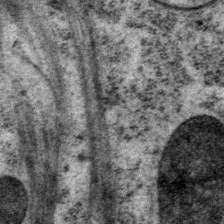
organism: P. pacificus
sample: Pharynx